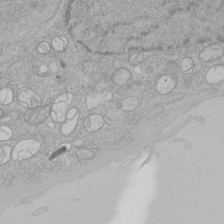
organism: Human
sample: Mitochondria in HCT116 cells